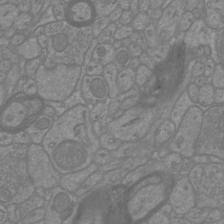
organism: Mouse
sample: Cortical neurons